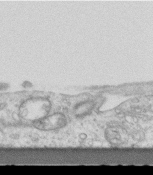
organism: Mouse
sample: Centriole in ependymal cells